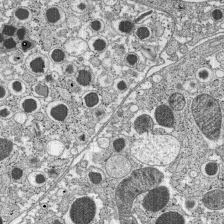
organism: C57BL Mouse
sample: Pancreatic islet